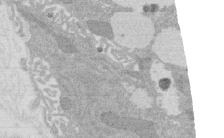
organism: Rat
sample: Salivary granule